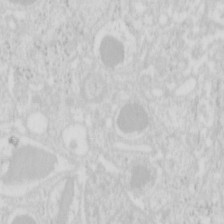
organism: Mouse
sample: Pancreas